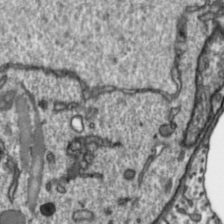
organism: Toxoplasma gondii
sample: Parasites in a vacuole inside a host cell